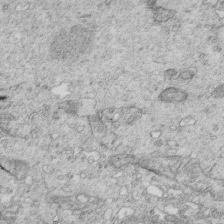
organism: Mouse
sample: Multiciliated cells